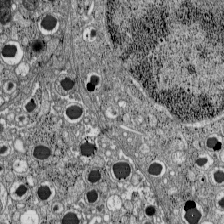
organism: C57BL Mouse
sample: Pancreatic islet